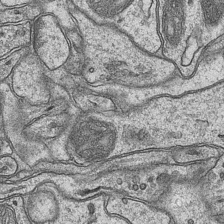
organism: Mouse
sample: CA1 Hippocampus